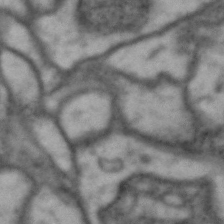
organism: Drosophila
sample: Brain